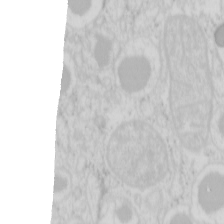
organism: Mouse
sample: Pancreas